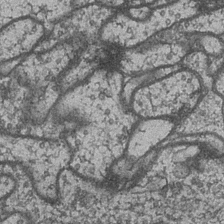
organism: Drosophila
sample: Optic medulla